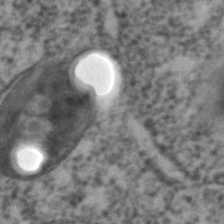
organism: C. elegans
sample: C. elegans embryo